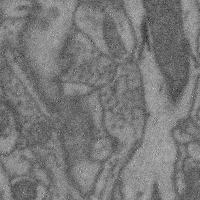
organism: Mouse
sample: Cerebral cortex